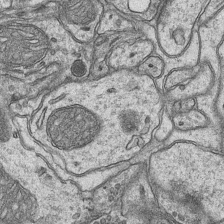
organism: Mouse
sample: CA1 Hippocampus